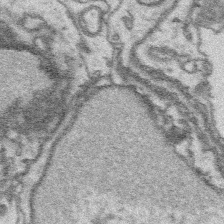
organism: Platynereis dumerilii